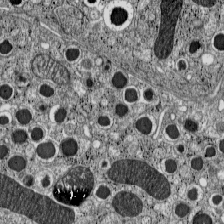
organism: C57BL Mouse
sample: Pancreatic islet